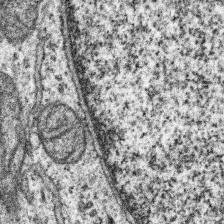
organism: Human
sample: HeLa cells